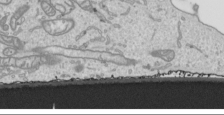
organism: Human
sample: Mitochondria in HCT116 cells